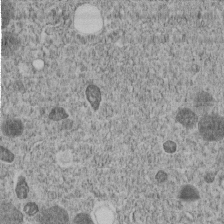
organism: C. elegans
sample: C. elegans embryo early stage